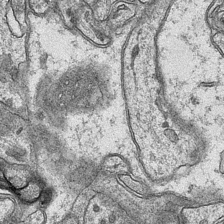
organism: Mouse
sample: CA1 Hippocampus